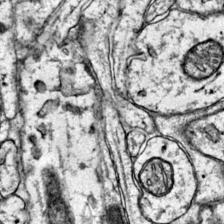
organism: Mouse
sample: Primary visual cortex